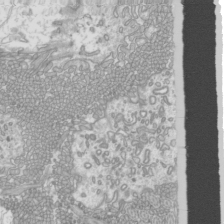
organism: Mouse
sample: Cilia; mouse epididymis